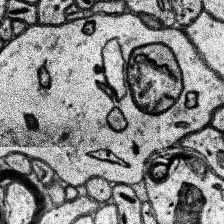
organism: Human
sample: Temporal Lobe